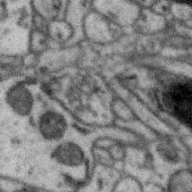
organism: Zebra finch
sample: Brain